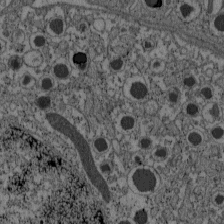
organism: C57BL Mouse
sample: Pancreatic islet